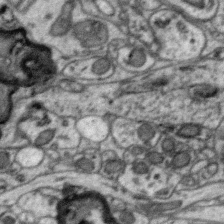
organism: Zebra finch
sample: Brain